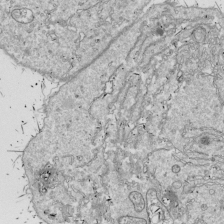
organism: Drosophila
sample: Cell division; meiosis; drosophila spermatocytes